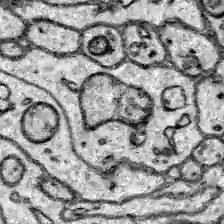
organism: Zebrafish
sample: Brain